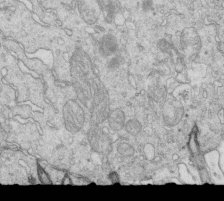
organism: Mouse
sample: Multiciliated cells